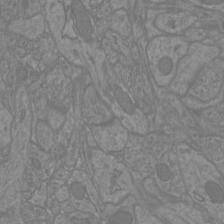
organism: Mouse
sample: Cortical neurons